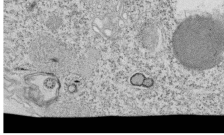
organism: Tetrahymena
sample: Cilia in tetrahymena